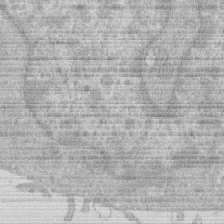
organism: Human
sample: Macrophage cells